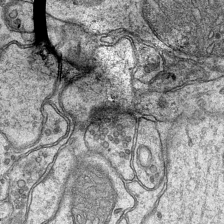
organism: Mouse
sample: CA1 Hippocampus